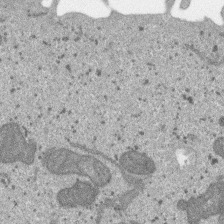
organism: Human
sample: Lung epithelial cells infected with SARS-CoV-2